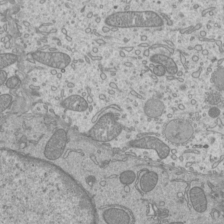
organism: Mouse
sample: Cilia; mouse epididymis